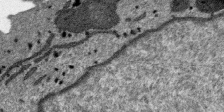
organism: Human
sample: Lung epithelial cells, uninfected (mock) control